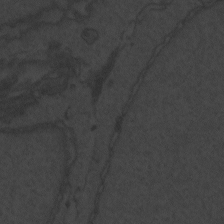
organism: Zebrafish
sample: Macrophage infected with Toxoplasma gondii